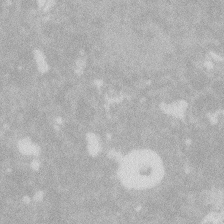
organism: Zebrafish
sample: Macrophage